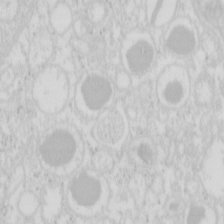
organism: Mouse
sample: Pancreas